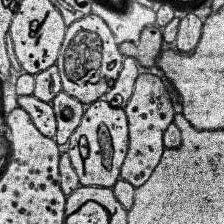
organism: Human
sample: Temporal Lobe